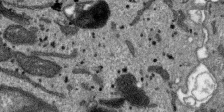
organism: Human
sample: Lung epithelial cells, uninfected (mock) control